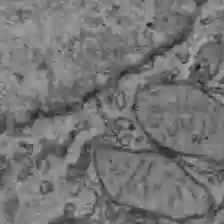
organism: C57BL Mouse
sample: Liver